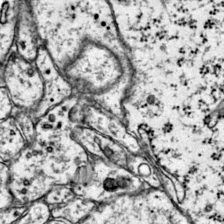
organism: Mouse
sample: Primary visual cortex